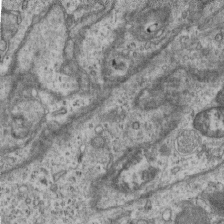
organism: Mouse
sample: Centriole in ependymal cells